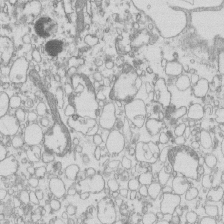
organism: Mouse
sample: Macrophages